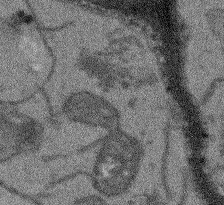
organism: Arabidopsis thaliana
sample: Root tip